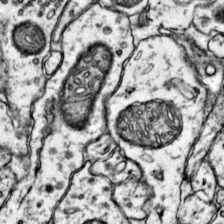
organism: Mouse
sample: Primary visual cortex